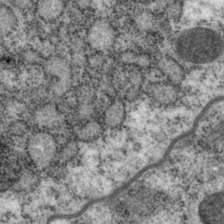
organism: P. pacificus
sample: Pharynx